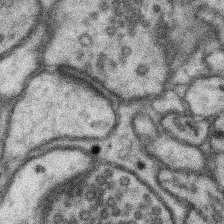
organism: Mouse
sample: Somatosensory cortex neuropil